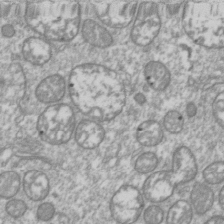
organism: Drosophila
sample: Cell division; meiosis; drosophila spermatocytes